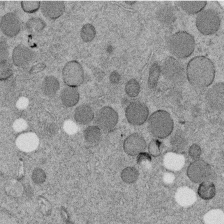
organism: C. elegans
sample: C. elegans embryo early stage